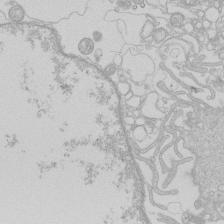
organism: Human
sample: Macrophage cells